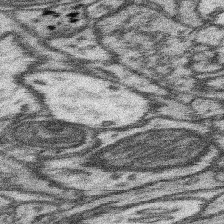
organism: Mouse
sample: Somatosensory cortex neuropil